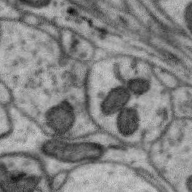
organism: Zebra finch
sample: Brain